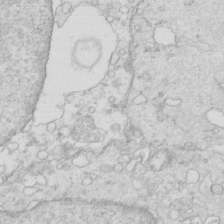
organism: Mouse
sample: Multiciliated cells